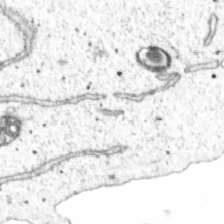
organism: Human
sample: HeLa cells